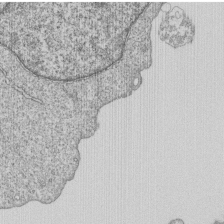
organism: Human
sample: MDA-MB-231 cells